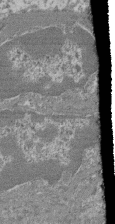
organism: Mouse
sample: Glomerulus